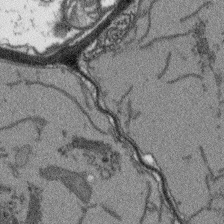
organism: Arabidopsis thaliana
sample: Root tip